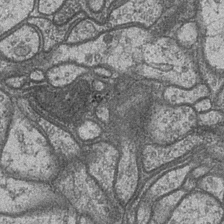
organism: Drosophila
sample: Optic medulla